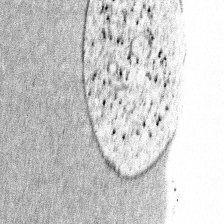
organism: Human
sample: HeLa cells